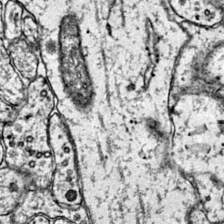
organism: Mouse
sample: Primary visual cortex